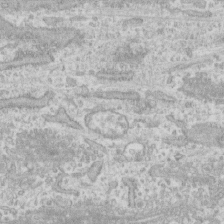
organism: Human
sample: CRL-1474